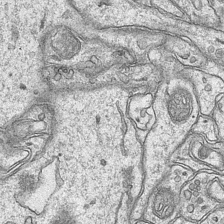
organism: Mouse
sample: CA1 Hippocampus